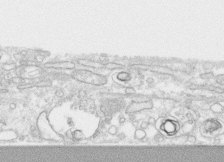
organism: Human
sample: CRL-1474